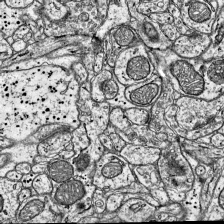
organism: Mouse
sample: Visual Cortex